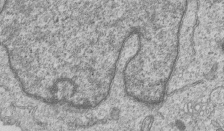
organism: Human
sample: MDA-MB-231 cells